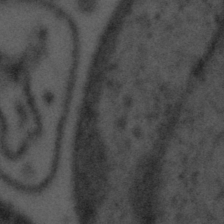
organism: Tuwongella immobilis